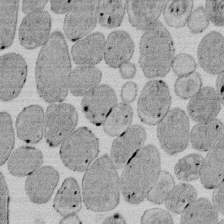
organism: E. coli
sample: Bacterial nucleoid